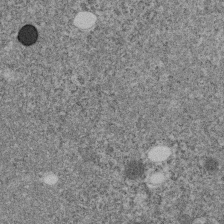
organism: C. elegans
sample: C. elegans embryo early stage